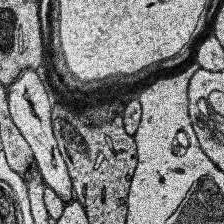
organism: Human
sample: Temporal Lobe